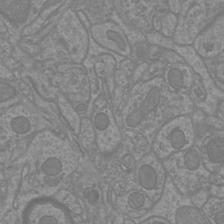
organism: Mouse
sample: Cortical neurons